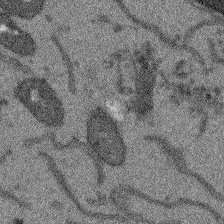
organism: Arabidopsis thaliana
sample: Root tip